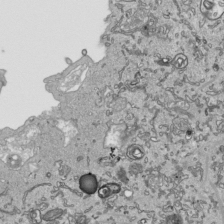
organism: Human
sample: Mitochondria in HCT116 cells